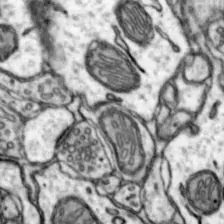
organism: Mouse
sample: Nucleus accumbens